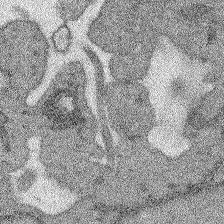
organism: Human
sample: HeLa cells